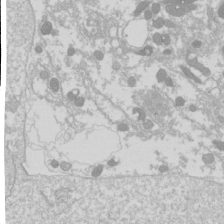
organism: Drosophila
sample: Cell division; meiosis; drosophila spermatocytes